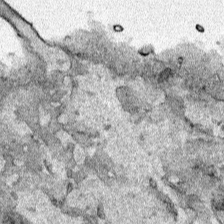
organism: Human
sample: Mitochondria in HCT116 cells